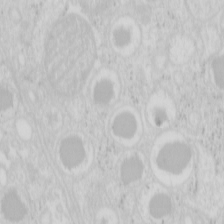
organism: Mouse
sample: Pancreas